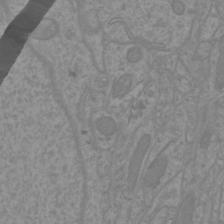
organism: Mouse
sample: Cortical neurons